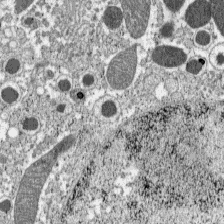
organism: C57BL Mouse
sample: Pancreatic islet